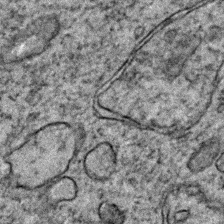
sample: Trachea